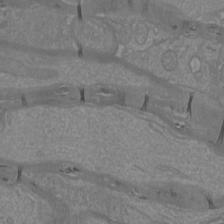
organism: Mouse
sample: Cortical neurons